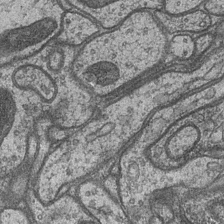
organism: Drosophila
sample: Optic medulla